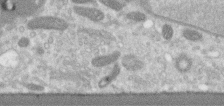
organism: Human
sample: Centriole in RPE cells